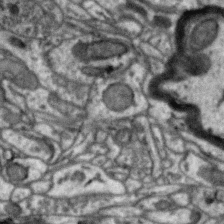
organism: Zebra finch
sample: Brain